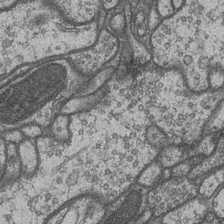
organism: Drosophila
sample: Optic medulla